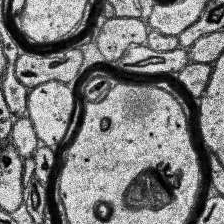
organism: Human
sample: Temporal Lobe